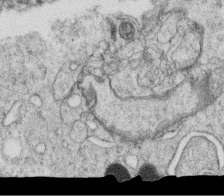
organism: C. elegans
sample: C. elegans oocyte; sperm cells